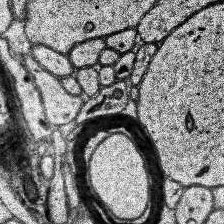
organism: Human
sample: Temporal Lobe